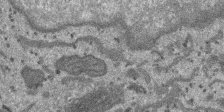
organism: Human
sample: Lung epithelial cells infected with SARS-CoV-2